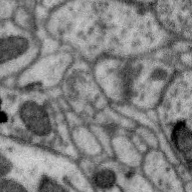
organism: Zebra finch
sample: Brain